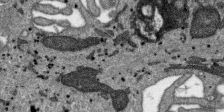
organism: Human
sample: Lung epithelial cells, uninfected (mock) control